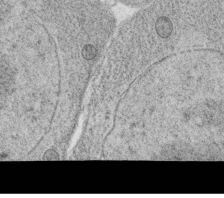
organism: C. elegans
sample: C. elegans oocyte; sperm cells